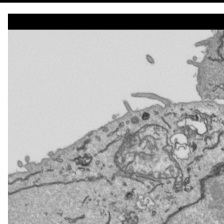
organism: Human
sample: Mitochondria in HCT116 cells